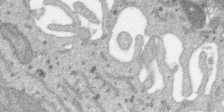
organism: Human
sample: Lung epithelial cells infected with SARS-CoV-2